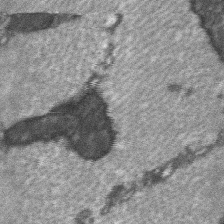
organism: C57BL Mouse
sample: Soleus